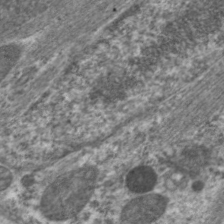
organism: C. elegans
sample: Pharynx